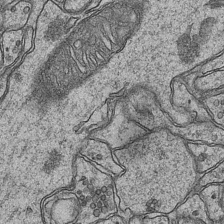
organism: Mouse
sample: CA1 Hippocampus